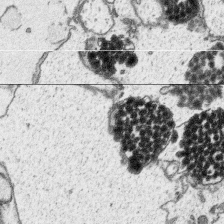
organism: Platynereis dumerilii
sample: Parapodia